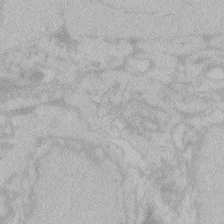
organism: Zebrafish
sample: Macrophage infected with Toxoplasma gondii